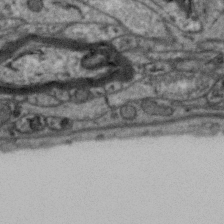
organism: Zebra finch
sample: Brain